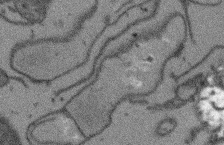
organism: Arabidopsis thaliana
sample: Root tip